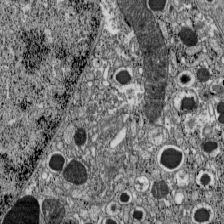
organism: C57BL Mouse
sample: Pancreatic islet